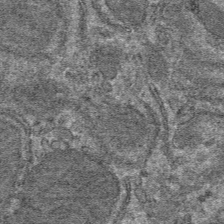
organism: Mouse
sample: Mouse hepatocytes